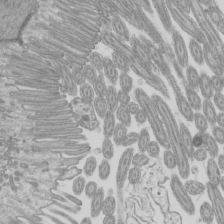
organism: Mouse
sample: Cilia; mouse epididymis